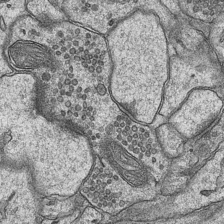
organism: Mouse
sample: CA1 Hippocampus